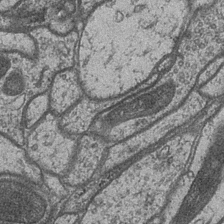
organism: Drosophila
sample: Optic medulla